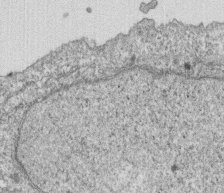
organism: Human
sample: HeLa cell HIV synapse